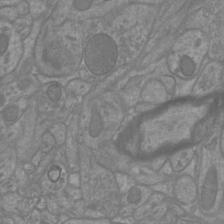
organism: Mouse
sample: Cortical neurons